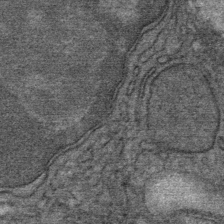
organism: Mouse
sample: Mouse Salivary gland